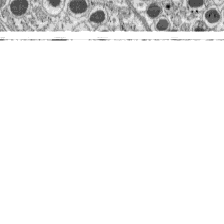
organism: C57BL Mouse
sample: Pancreatic islet